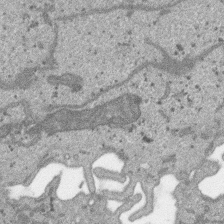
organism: Human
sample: Lung epithelial cells infected with SARS-CoV-2